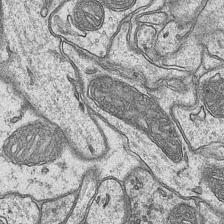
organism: Mouse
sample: CA1 Hippocampus